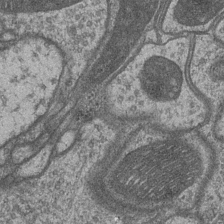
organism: Drosophila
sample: Optic medulla